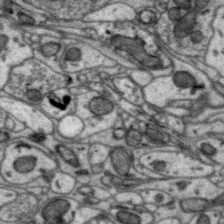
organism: Zebra finch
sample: Brain